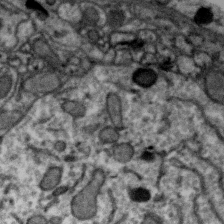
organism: Zebra finch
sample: Brain